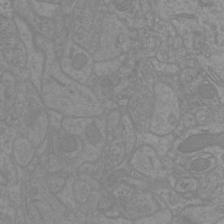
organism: Mouse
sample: Cortical neurons